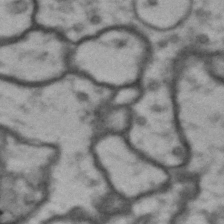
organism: Drosophila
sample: Brain